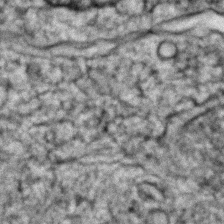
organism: Zebrafish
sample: Zebrafish embryo